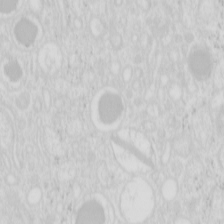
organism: Mouse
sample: Pancreas